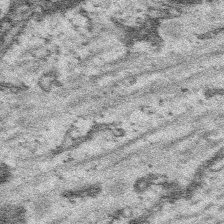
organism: Platynereis dumerilii